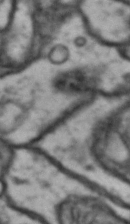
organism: Drosophila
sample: Brain